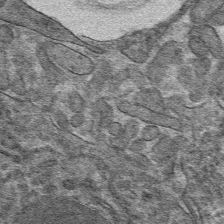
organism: Mouse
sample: Mouse hepatocytes